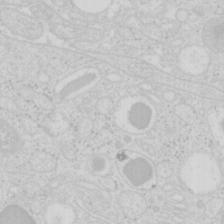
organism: Mouse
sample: Pancreas